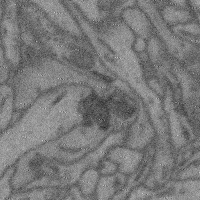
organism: Mouse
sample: Cerebral cortex